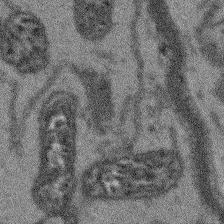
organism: Arabidopsis thaliana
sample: Root tip